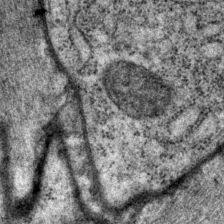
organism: P. pacificus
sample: Pharynx